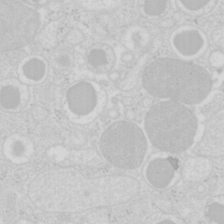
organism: Mouse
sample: Pancreas